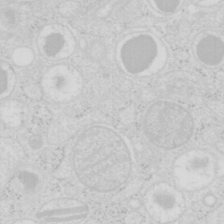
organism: Mouse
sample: Pancreas